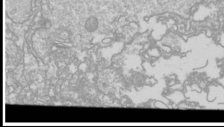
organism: Drosophila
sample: Cell division; meiosis; drosophila spermatocytes